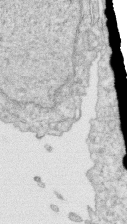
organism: Human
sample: HeLa cell HIV synapse